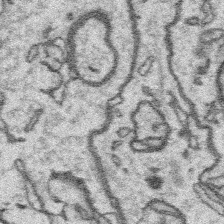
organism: Platynereis dumerilii